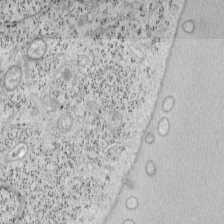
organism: Mouse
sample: OT-I killer T cells with ID8 ovarian cancer cells